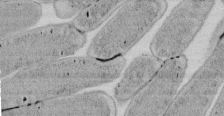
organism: E. coli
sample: Bacterial nucleoid